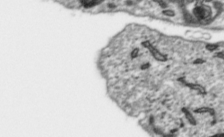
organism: Toxoplasma gondii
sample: Parasites in a vacuole inside a host cell